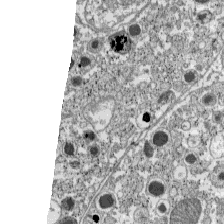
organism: C57BL Mouse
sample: Pancreatic islet